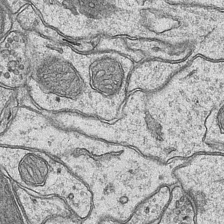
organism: Mouse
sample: CA1 Hippocampus